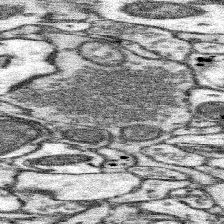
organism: Mouse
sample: Somatosensory cortex neuropil